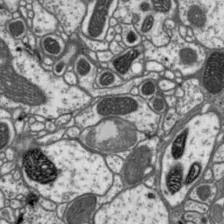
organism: Drosophila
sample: Protocerebral bridge